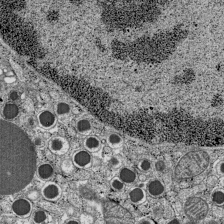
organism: C57BL Mouse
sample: Pancreatic islet